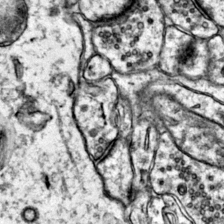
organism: Mouse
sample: Primary visual cortex